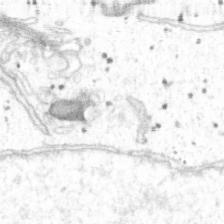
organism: Human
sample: HeLa cells